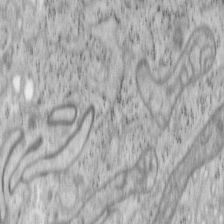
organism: Human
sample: HeLa cells